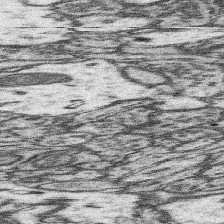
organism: Mouse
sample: Somatosensory cortex neuropil